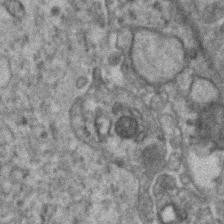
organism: Human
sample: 1205lu cells